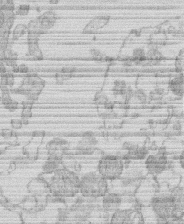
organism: Human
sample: Macrophage cells